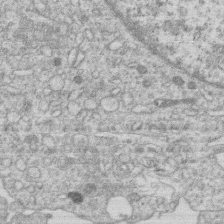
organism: Human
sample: Macrophage cells